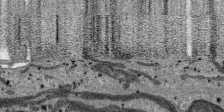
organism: Human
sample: Lung epithelial cells, uninfected (mock) control